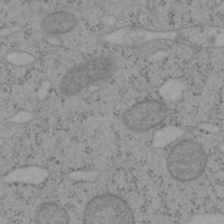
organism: Mouse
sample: OT-I killer T cells with ID8 ovarian cancer cells